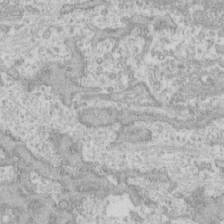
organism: Human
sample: CRL-1474